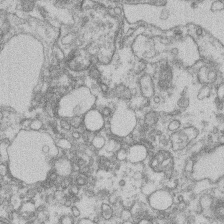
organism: Mouse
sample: T cell stromal cell synapse